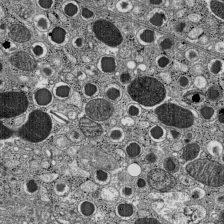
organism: C57BL Mouse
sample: Pancreatic islet